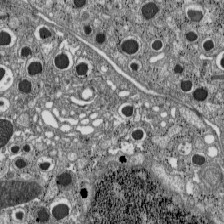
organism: C57BL Mouse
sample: Pancreatic islet